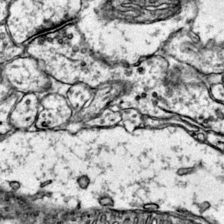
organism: Mouse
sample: Primary visual cortex